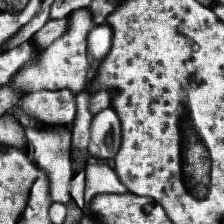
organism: Human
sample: Temporal Lobe